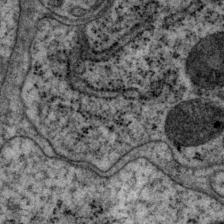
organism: P. pacificus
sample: Pharynx